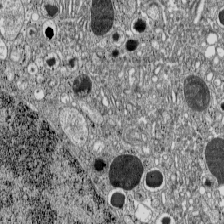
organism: C57BL Mouse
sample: Pancreatic islet